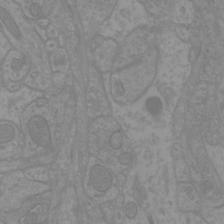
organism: Mouse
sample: Cortical neurons